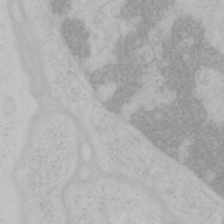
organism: Mouse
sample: OT-I killer T cells with ID8 ovarian cancer cells